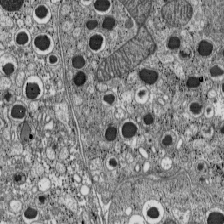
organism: C57BL Mouse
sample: Pancreatic islet